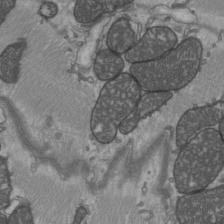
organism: C57BL Mouse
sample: Heart